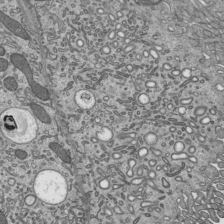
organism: Mouse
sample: Mouse epididymis efferent ductule cilia